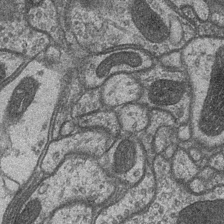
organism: Drosophila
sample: Optic medulla